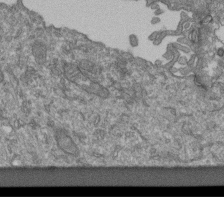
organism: Human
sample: Retinal organoid Rod and Cone cells